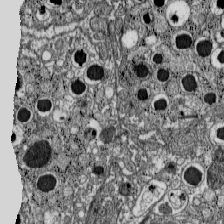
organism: C57BL Mouse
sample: Pancreatic islet